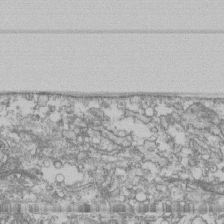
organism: Human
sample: Fibroblast cells